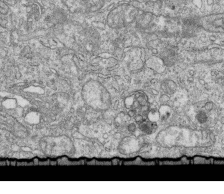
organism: Human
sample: HeLa cell HIV synapse